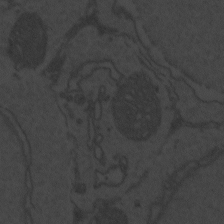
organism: Zebrafish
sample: Macrophage infected with Toxoplasma gondii